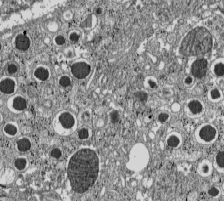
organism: C57BL Mouse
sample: Pancreatic islet